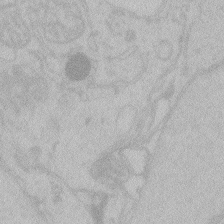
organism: Zebrafish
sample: Macrophage infected with Toxoplasma gondii